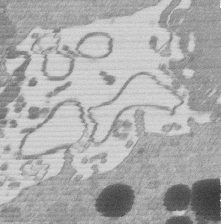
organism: Mouse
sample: Dividing mouse embryo 1 cell stage